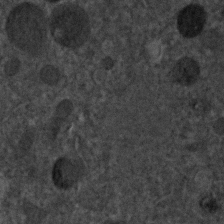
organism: C. elegans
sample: C. elegans embryo